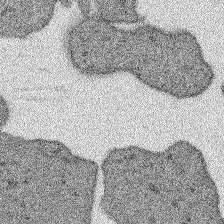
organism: Human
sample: HeLa cells